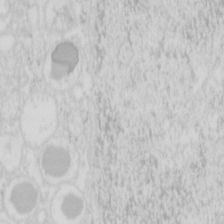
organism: Mouse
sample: Pancreas